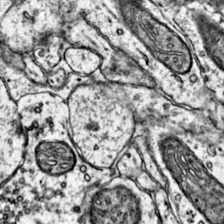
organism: Mouse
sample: Primary visual cortex